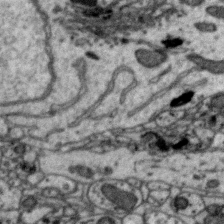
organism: Zebra finch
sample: Brain